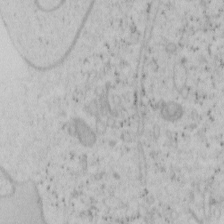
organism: Human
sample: HeLa cells